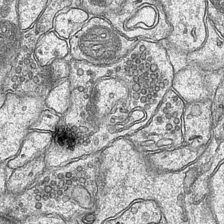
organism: Mouse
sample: CA1 Hippocampus